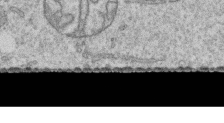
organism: Human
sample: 1205lu cells